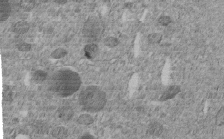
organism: C. elegans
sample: C. elegans embryo early stage